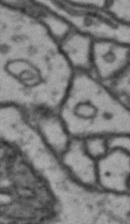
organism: Drosophila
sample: Brain